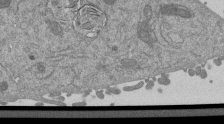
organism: Mouse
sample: ED-1 cell nuclei; centrioles